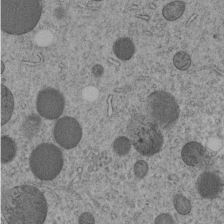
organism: C. elegans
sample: C. elegans embryo early stage